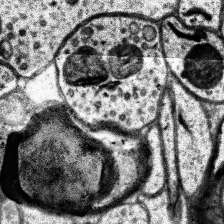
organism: Human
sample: Temporal Lobe